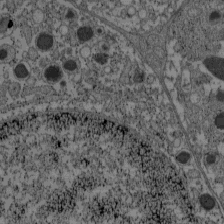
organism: C57BL Mouse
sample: Pancreatic islet